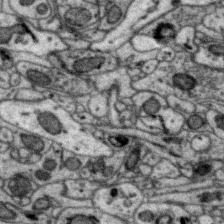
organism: Zebra finch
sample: Brain